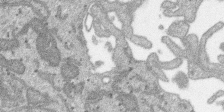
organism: Human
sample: Lung epithelial cells infected with SARS-CoV-2